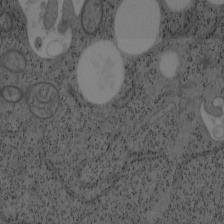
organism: Mouse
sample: OT-I killer T cells with ID8 ovarian cancer cells